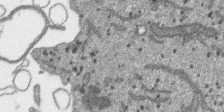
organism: Human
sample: Lung epithelial cells infected with SARS-CoV-2